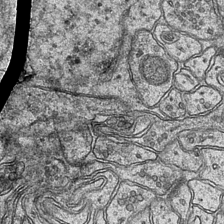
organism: Mouse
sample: CA1 Hippocampus